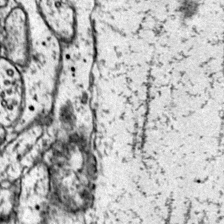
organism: Mouse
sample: Primary visual cortex